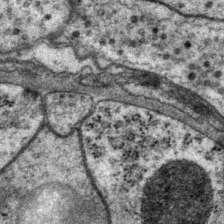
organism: P. pacificus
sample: Pharynx